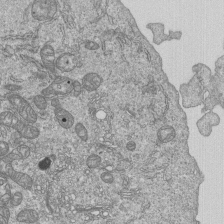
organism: Human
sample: MDA-MB-231 cells